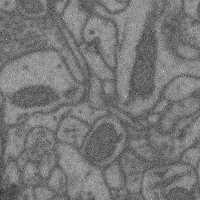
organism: Mouse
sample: Cerebral cortex